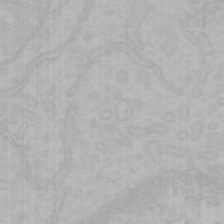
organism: Mouse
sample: Choroid plexus